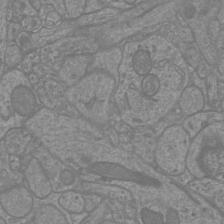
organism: Mouse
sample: Cortical neurons